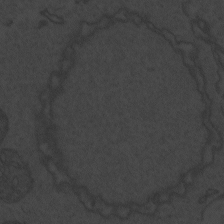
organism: Zebrafish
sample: Macrophage infected with Toxoplasma gondii